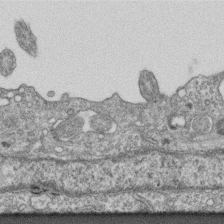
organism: Mouse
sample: Centriole in ependymal cells